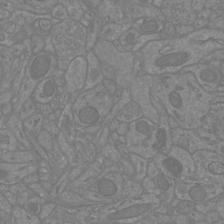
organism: Mouse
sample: Cortical neurons